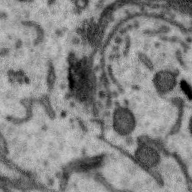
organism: Zebra finch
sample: Brain